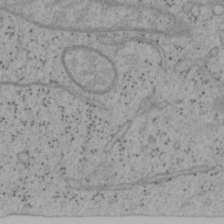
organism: Human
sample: HeLa cells